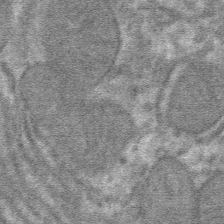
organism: Mouse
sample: Mouse hepatocytes